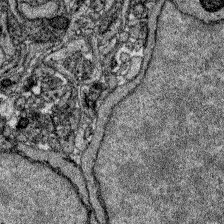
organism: Zebrafish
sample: Larval olfactory bulb